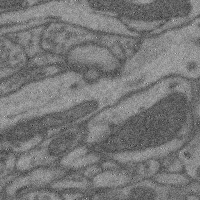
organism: Mouse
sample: Cerebral cortex